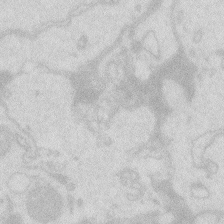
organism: Zebrafish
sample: Macrophage